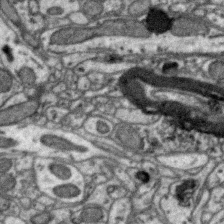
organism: Zebra finch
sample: Brain